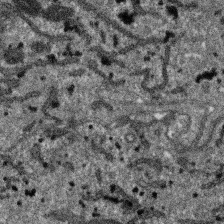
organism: Human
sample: Lung epithelial cells infected with SARS-CoV-2